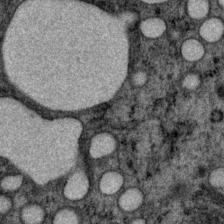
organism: P. pacificus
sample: Pharynx